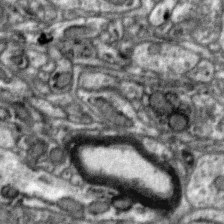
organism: Zebra finch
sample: Brain